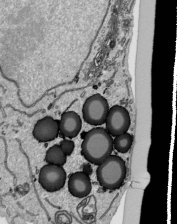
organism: Human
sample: Mitochondria in HCT116 cells